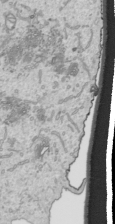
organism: Human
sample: Mitochondria in HCT116 cells